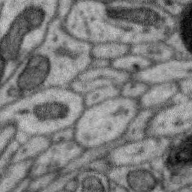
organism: Zebra finch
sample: Brain